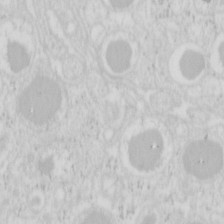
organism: Mouse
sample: Pancreas